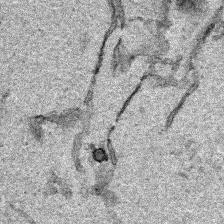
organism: Human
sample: Mitochondria in HCT116 cells